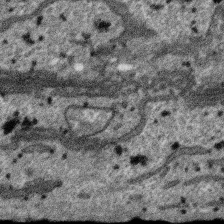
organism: Human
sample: Lung epithelial cells infected with SARS-CoV-2